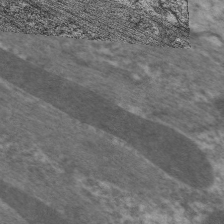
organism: C. elegans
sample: Pharynx